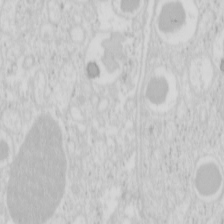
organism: Mouse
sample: Pancreas